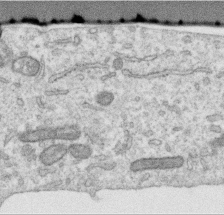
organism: Human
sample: Centriole in RPE cells